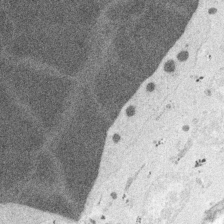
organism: Embia sp.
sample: Silk gland